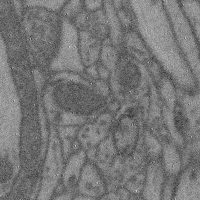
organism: Mouse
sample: Cerebral cortex